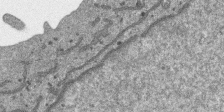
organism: Human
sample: Lung epithelial cells infected with SARS-CoV-2